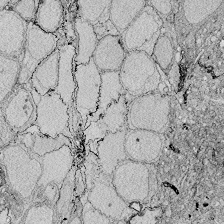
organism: Zebrafish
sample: Whole-Brain